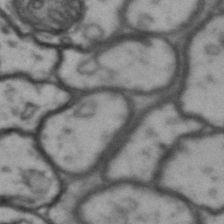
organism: Drosophila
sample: Brain